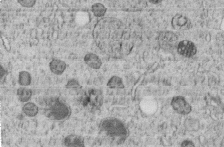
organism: C. elegans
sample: C. elegans embryo early stage